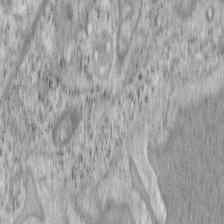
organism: Human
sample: HeLa cells